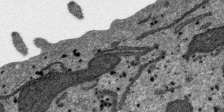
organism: Human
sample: Lung epithelial cells, uninfected (mock) control